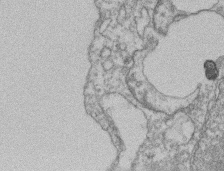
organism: Mouse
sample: T cell stromal cell synapse